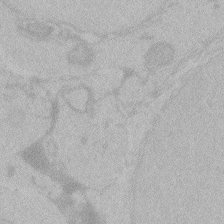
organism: Zebrafish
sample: Macrophage infected with Toxoplasma gondii